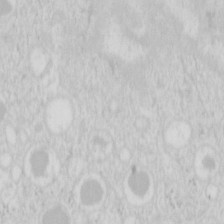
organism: Mouse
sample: Pancreas